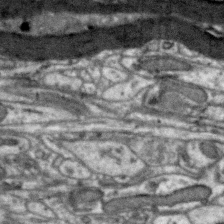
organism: Zebra finch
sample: Brain